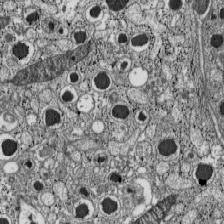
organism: C57BL Mouse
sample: Pancreatic islet